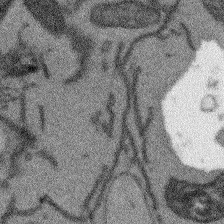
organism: Arabidopsis thaliana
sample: Root tip